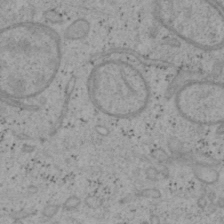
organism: Human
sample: HeLa cells